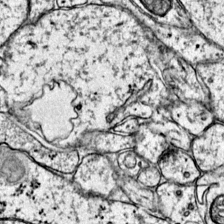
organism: Mouse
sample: Primary visual cortex